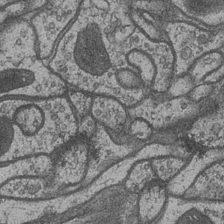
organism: Drosophila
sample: Optic medulla